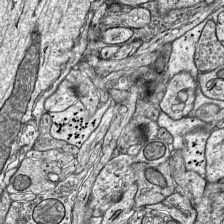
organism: Mouse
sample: Visual Cortex